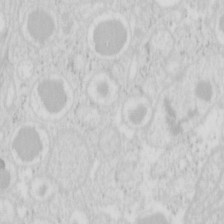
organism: Mouse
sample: Pancreas